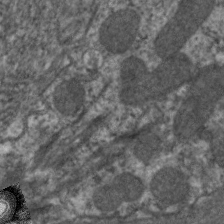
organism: C. elegans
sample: Pharynx